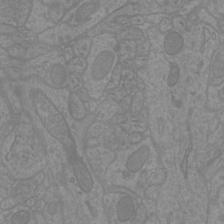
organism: Mouse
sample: Cortical neurons